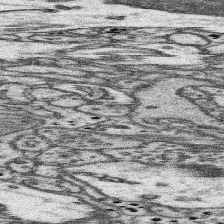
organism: Mouse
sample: Somatosensory cortex neuropil